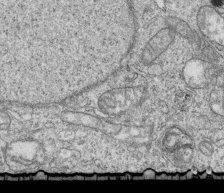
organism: Human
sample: HeLa cell HIV synapse